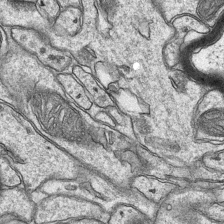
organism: Mouse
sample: CA1 Hippocampus